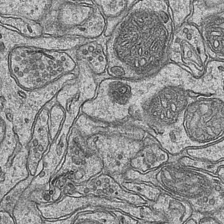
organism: Mouse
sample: CA1 Hippocampus